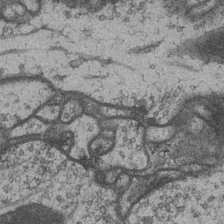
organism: Drosophila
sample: Optic medulla